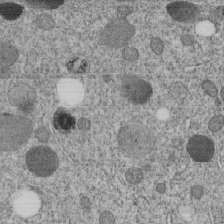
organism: C. elegans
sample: C. elegans embryo early stage